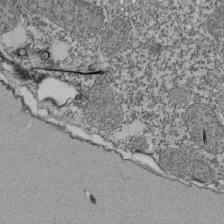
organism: Tetrahymena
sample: Cilia in tetrahymena